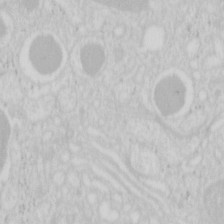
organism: Mouse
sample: Pancreas